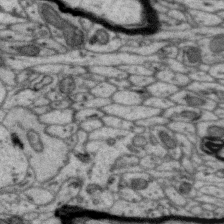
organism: Zebra finch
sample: Brain